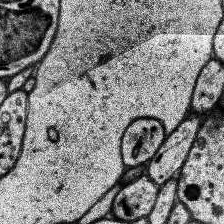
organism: Human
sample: Temporal Lobe